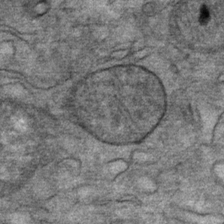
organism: Mouse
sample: Mouse Salivary gland